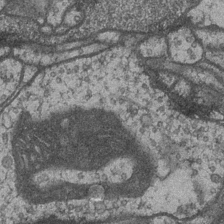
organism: Drosophila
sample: Optic medulla